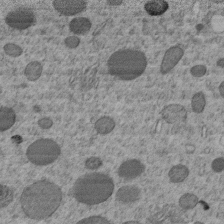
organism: C. elegans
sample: C. elegans embryo early stage